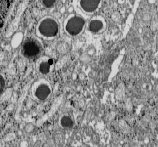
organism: C57BL Mouse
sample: Pancreatic islet